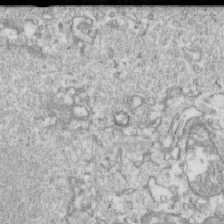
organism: Mouse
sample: Activated OT-1 CD8+ T cells